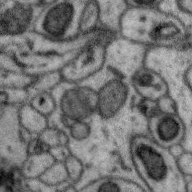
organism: Zebra finch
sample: Brain